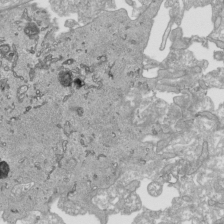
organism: Human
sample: Mitochondria in HCT116 cells